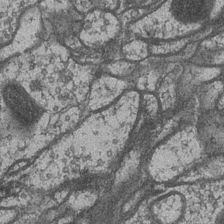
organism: Drosophila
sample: Optic medulla